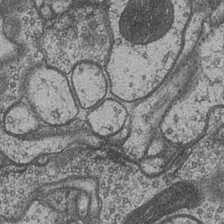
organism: Drosophila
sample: Optic medulla